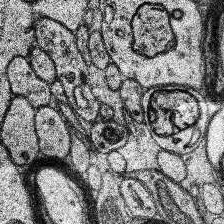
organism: Human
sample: Temporal Lobe